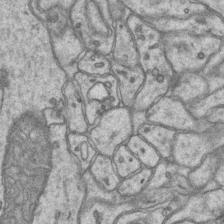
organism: Mouse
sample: CA1 Hippocampus